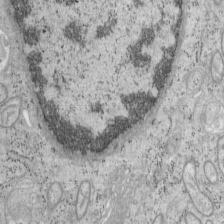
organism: Mouse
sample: OT-I killer T cells with ID8 ovarian cancer cells